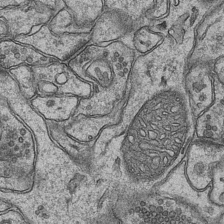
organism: Mouse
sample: CA1 Hippocampus